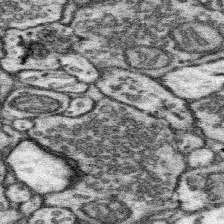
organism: Mouse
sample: Somatosensory cortex neuropil